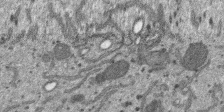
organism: Human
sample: Lung epithelial cells infected with SARS-CoV-2